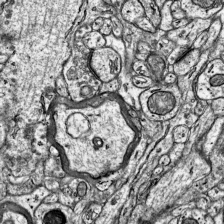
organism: Mouse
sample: Visual Cortex